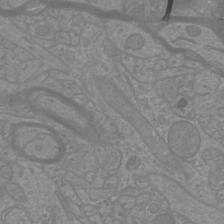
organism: Mouse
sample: Cortical neurons